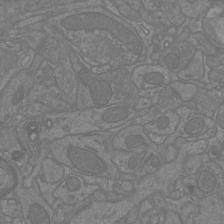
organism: Mouse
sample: Cortical neurons